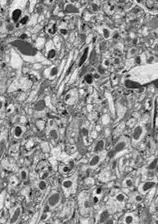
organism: Drosophila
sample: Optic lobe